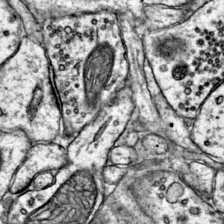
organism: Mouse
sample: Primary visual cortex